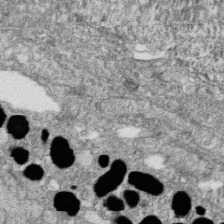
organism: Zebrafish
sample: Cilia; retinal pigment epithelium